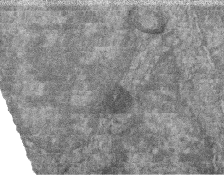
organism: Zebrafish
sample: Cilia; retinal pigment epithelium